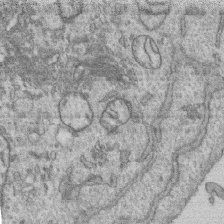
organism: Human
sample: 1205lu cells